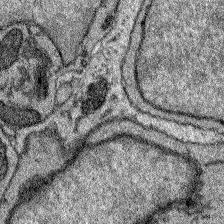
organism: Zebrafish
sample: Larval olfactory bulb